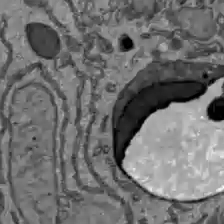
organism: C57BL Mouse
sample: Liver